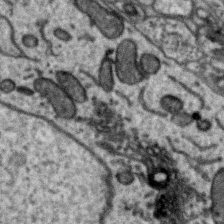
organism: Zebra finch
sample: Brain